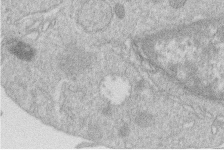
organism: Human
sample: Macrophage cells